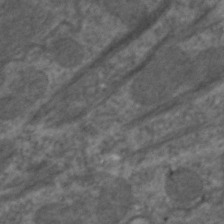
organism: C. elegans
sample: Pharynx